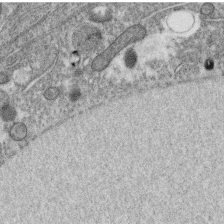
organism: C. elegans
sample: C. elegans oocyte; sperm cells